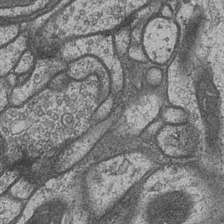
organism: Drosophila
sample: Optic medulla